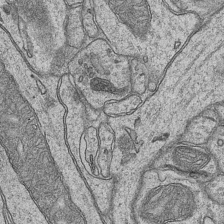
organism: Mouse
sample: CA1 Hippocampus